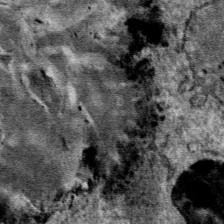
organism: Mouse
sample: Mouse Salivary gland